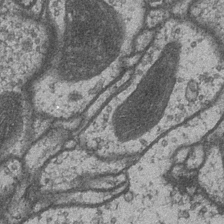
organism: Drosophila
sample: Optic medulla